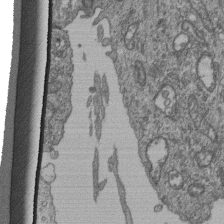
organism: Human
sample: Retinal organoid Rod and Cone cells